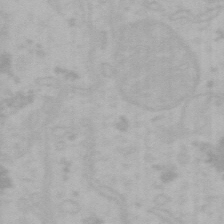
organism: Mouse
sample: Choroid plexus